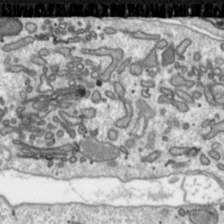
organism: Toxoplasma gondii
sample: Parasites in a vacuole inside a host cell